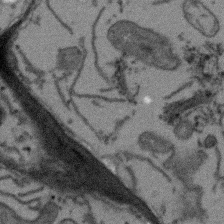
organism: Arabidopsis thaliana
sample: Root tip